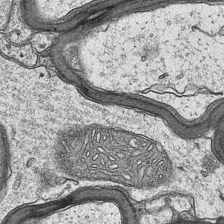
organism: Mouse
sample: CA1 Hippocampus